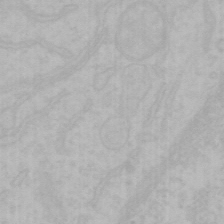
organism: Mouse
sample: Choroid plexus